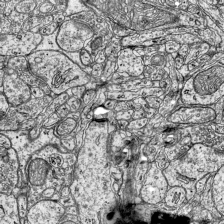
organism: Mouse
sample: Visual Cortex